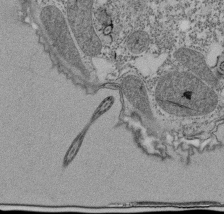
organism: Tetrahymena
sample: Cilia in tetrahymena